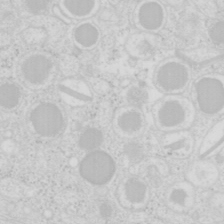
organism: Mouse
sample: Pancreas